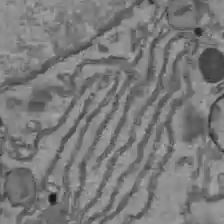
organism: C57BL Mouse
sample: Liver